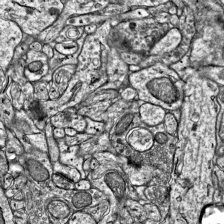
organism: Mouse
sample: Visual Cortex